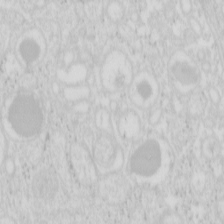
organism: Mouse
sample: Pancreas